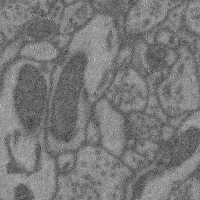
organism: Mouse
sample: Cerebral cortex